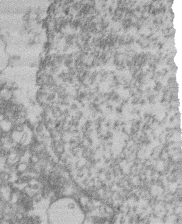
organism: Mouse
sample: T cell stromal cell synapse